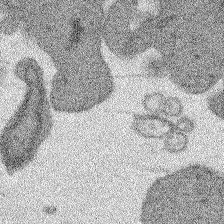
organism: Human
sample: HeLa cells